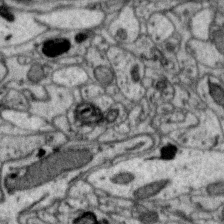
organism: Zebra finch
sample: Brain